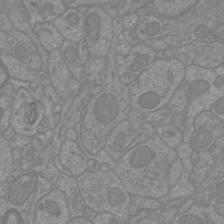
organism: Mouse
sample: Cortical neurons